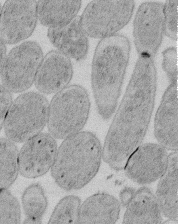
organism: E. coli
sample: Bacterial nucleoid